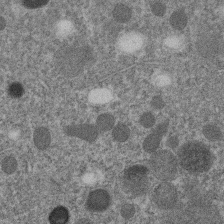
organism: C. elegans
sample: C. elegans embryo early stage